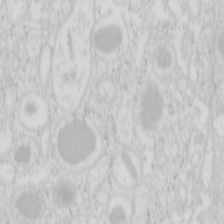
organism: Mouse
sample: Pancreas